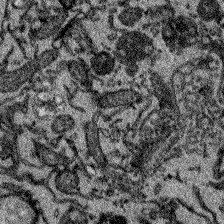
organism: Zebrafish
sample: Larval olfactory bulb